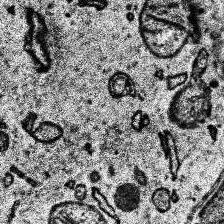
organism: Human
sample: Temporal Lobe